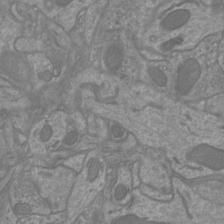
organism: Mouse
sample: Cortical neurons